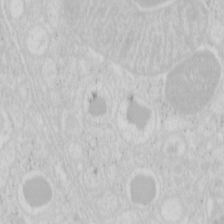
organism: Mouse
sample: Pancreas